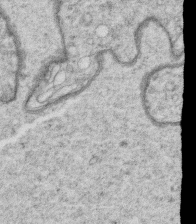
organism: C. elegans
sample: C. elegans oocyte; sperm cells